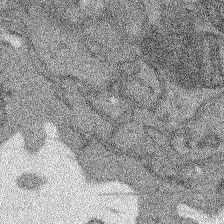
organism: Human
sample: HeLa cells